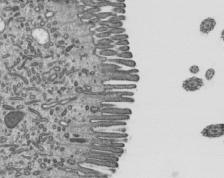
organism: Mouse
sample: Mouse epididymis efferent ductule cilia